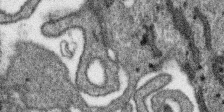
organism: Human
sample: Lung epithelial cells infected with SARS-CoV-2